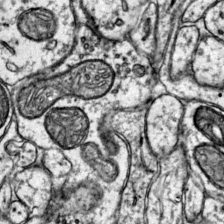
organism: Mouse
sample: Primary visual cortex